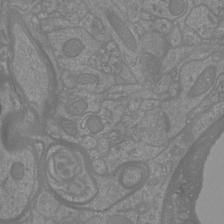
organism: Mouse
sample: Cortical neurons